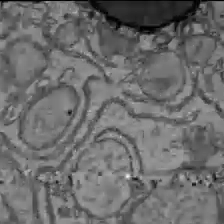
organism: C57BL Mouse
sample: Liver